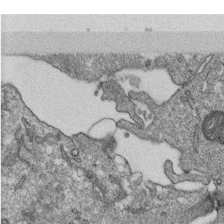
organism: African green monkey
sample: Vero E6 cells infected with SARS-CoV-2